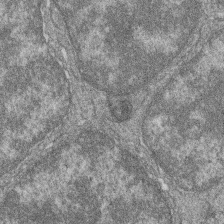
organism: Zebrafish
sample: Cilia; retinal pigment epithelium